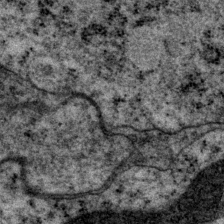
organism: P. pacificus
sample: Pharynx